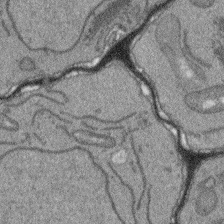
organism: Arabidopsis thaliana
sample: Root tip